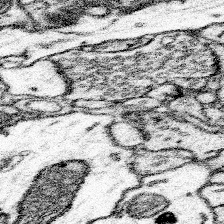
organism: Mouse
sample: Somatosensory cortex neuropil